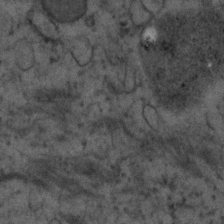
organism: Human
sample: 1205lu cells